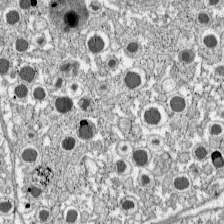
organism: C57BL Mouse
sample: Pancreatic islet